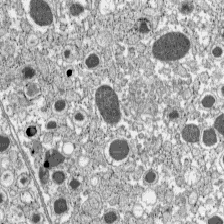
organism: C57BL Mouse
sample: Pancreatic islet